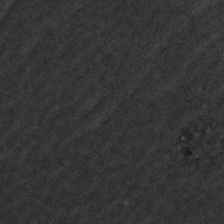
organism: Zebrafish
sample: Zebrafish embryo